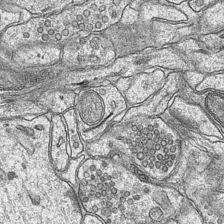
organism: Mouse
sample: CA1 Hippocampus